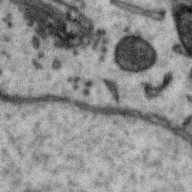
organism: Zebra finch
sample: Brain